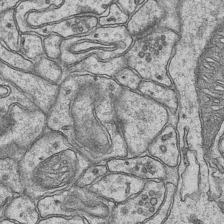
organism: Mouse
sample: CA1 Hippocampus